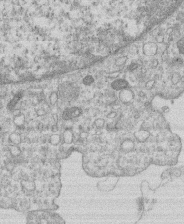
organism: Human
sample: Macrophage cells